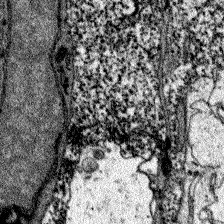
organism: Zebrafish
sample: Larval olfactory bulb